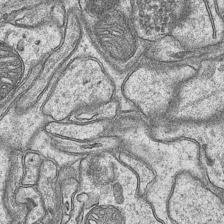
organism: Mouse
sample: CA1 Hippocampus